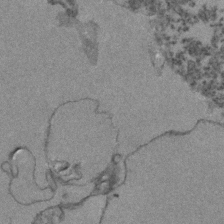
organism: Zebrafish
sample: Zebrafish embryo